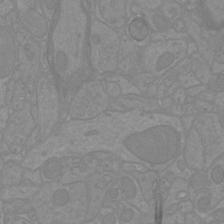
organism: Mouse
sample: Cortical neurons